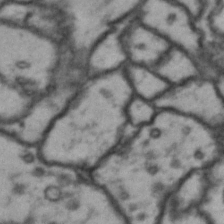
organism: Drosophila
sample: Brain